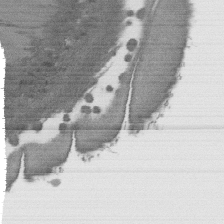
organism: C. elegans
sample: AFD neurons C. elegans